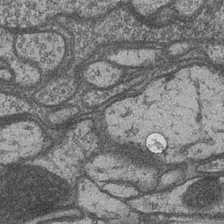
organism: Drosophila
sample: Optic medulla